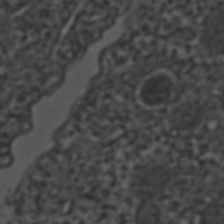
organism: C. elegans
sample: C. elegans embryo